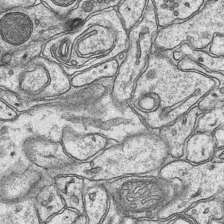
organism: Mouse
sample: CA1 Hippocampus